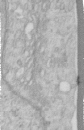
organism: Human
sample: Centriole in RPE cells